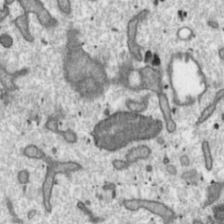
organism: Toxoplasma gondii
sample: Parasites in a vacuole inside a host cell